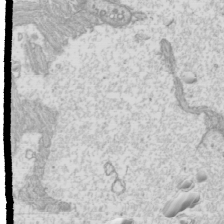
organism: Mouse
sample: Cilia; mouse epididymis